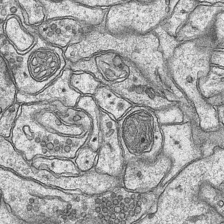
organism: Mouse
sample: CA1 Hippocampus